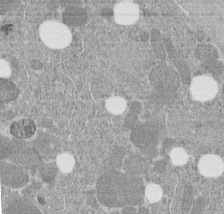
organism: C. elegans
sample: C. elegans embryo early stage